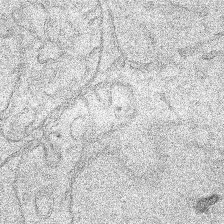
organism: Human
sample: Mitochondria in HCT116 cells